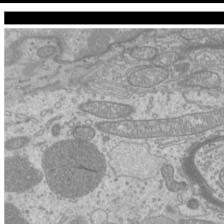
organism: Mouse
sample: Cilia; mouse epididymis